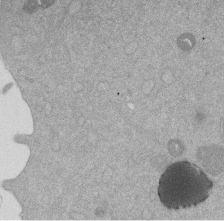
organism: Mouse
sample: Dividing mouse embryo 1 cell stage